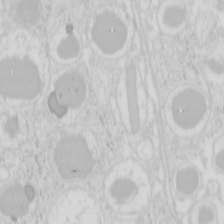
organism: Mouse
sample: Pancreas